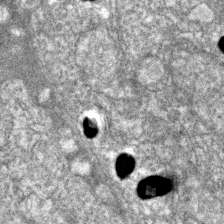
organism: Zebrafish